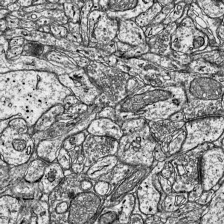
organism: Mouse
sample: Visual Cortex